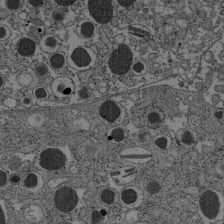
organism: C57BL Mouse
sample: Pancreatic islet